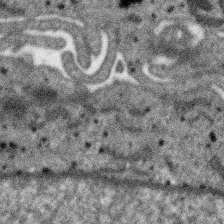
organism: Human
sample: Lung epithelial cells infected with SARS-CoV-2